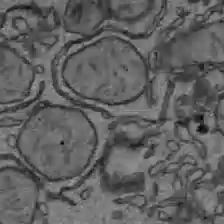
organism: C57BL Mouse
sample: Liver